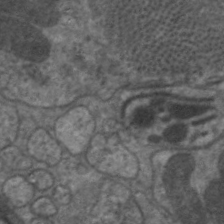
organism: C. elegans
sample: Pharynx